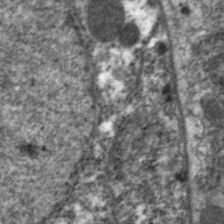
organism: C. elegans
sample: Pharynx